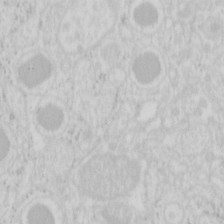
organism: Mouse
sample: Pancreas